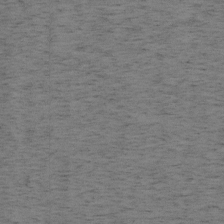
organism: Mouse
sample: OT-I killer T cells with ID8 ovarian cancer cells